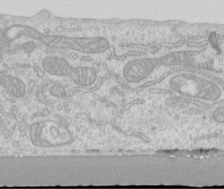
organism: Human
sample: Centriole in RPE cells